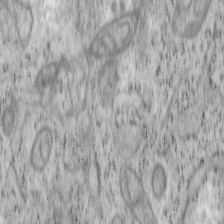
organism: Human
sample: HeLa cells